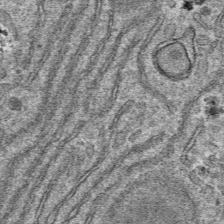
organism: Mouse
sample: Mouse hepatocytes